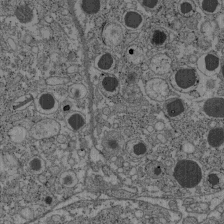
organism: C57BL Mouse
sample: Pancreatic islet